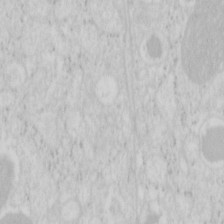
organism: Mouse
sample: Pancreas